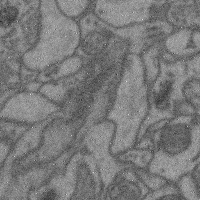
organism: Mouse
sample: Cerebral cortex